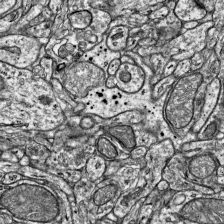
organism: Mouse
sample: Visual Cortex